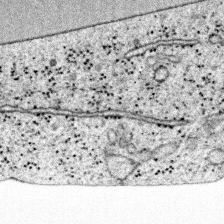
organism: Human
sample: HeLa cells